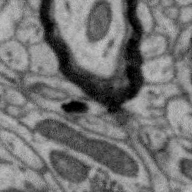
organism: Zebra finch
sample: Brain